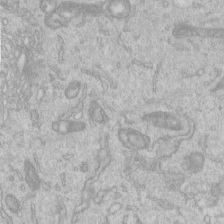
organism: Human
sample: Centriole in RPE cells